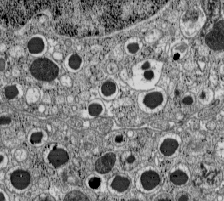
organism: C57BL Mouse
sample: Pancreatic islet